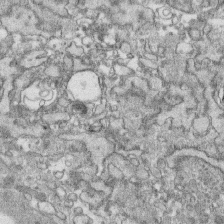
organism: Human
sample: CRL-1474